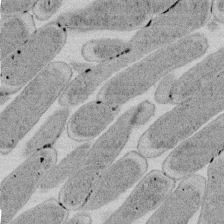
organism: E. coli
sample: Bacterial nucleoid